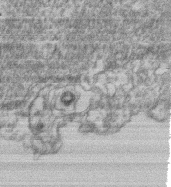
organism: Mouse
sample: T cell stromal cell synapse